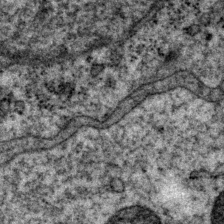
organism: P. pacificus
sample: Pharynx